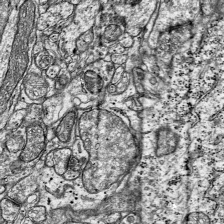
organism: Mouse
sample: Visual Cortex